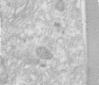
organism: Human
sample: Centriole in RPE cells